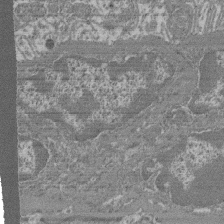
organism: Mouse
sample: Glomerulus